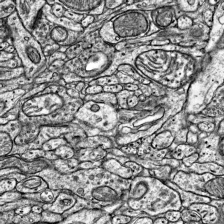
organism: Mouse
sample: Visual Cortex